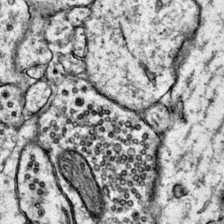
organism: Mouse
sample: Primary visual cortex